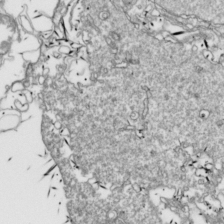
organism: Drosophila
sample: Cell division; meiosis; drosophila spermatocytes